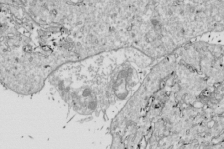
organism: Drosophila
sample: Cell division; meiosis; drosophila spermatocytes